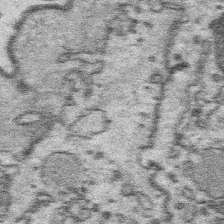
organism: Platynereis dumerilii